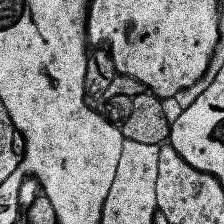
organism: Human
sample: Temporal Lobe